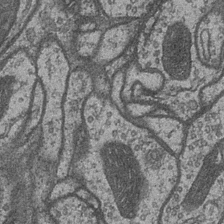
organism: Drosophila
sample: Optic medulla